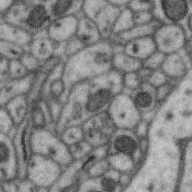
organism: Zebra finch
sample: Brain